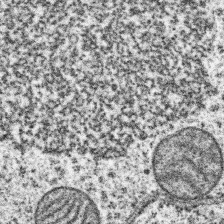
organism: Human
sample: HeLa cells